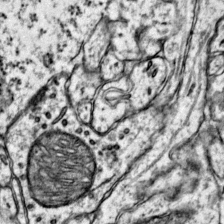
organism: Mouse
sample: Primary visual cortex